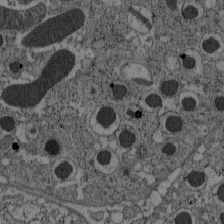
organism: C57BL Mouse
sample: Pancreatic islet